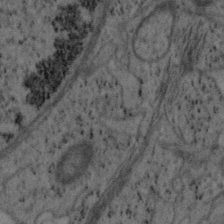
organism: Human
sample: HeLa cells